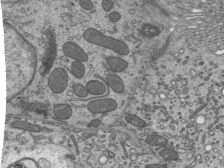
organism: Mouse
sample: Mouse epididymis efferent ductule cilia